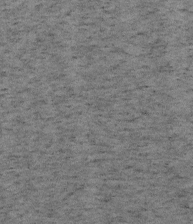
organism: Mouse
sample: OT-I killer T cells with ID8 ovarian cancer cells